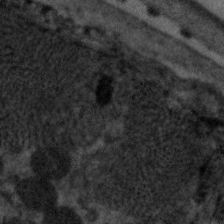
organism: C. elegans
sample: Pharynx